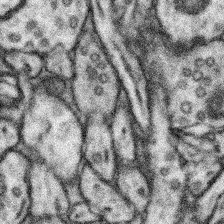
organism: Mouse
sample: Somatosensory cortex neuropil